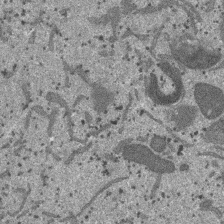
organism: Human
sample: Lung epithelial cells infected with SARS-CoV-2